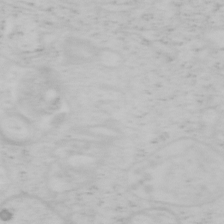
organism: Mouse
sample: OT-I killer T cells with ID8 ovarian cancer cells